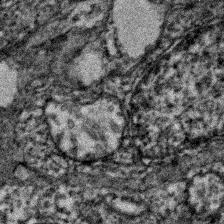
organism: Zebrafish